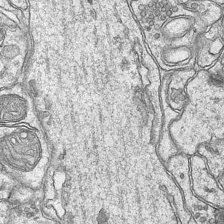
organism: Mouse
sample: CA1 Hippocampus